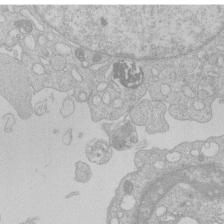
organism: Human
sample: Macrophage cells